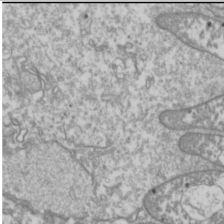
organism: Drosophila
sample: Cell division; meiosis; drosophila spermatocytes